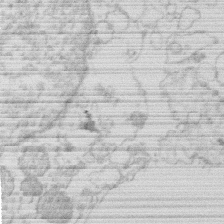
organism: Human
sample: Macrophage cells